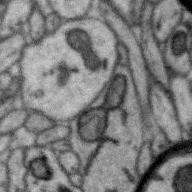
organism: Zebra finch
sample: Brain